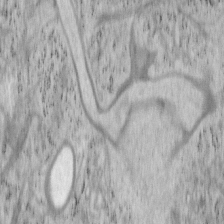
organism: Human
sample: HeLa cells